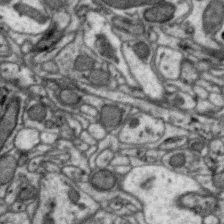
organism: Zebra finch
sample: Brain